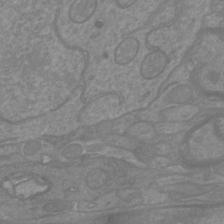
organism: Mouse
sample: Cortical neurons